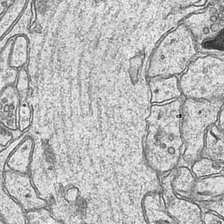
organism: Mouse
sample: CA1 Hippocampus